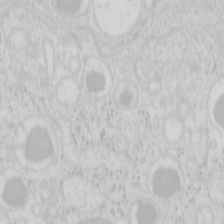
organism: Mouse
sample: Pancreas